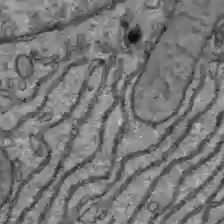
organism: C57BL Mouse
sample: Liver